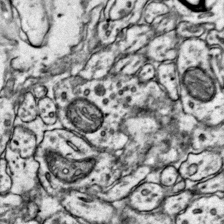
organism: Mouse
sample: Primary visual cortex